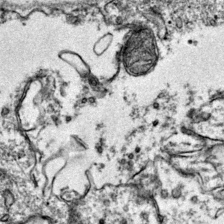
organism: Mouse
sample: Primary visual cortex